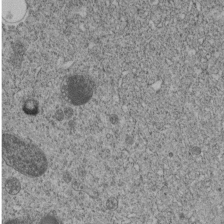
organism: C. elegans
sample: C. elegans embryo early stage